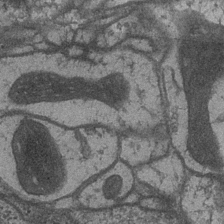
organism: Drosophila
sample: Optic medulla